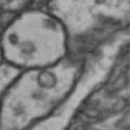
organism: Drosophila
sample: Brain